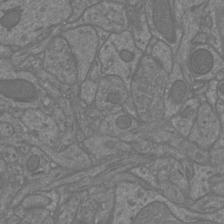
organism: Mouse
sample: Cortical neurons